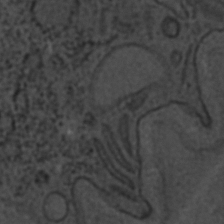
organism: C. elegans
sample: C. elegans embryo